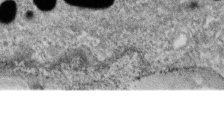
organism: Zebrafish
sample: Cilia; retinal pigment epithelium